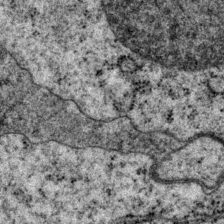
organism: P. pacificus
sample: Pharynx